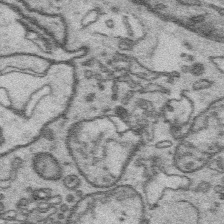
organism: Platynereis dumerilii